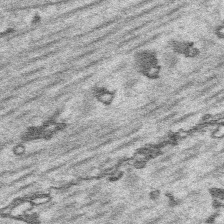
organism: Platynereis dumerilii